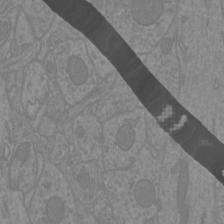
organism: Mouse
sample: Cortical neurons